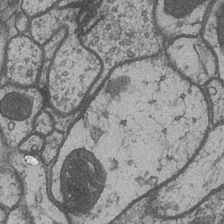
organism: Drosophila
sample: Optic medulla